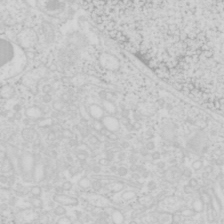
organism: Mouse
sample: Pancreas